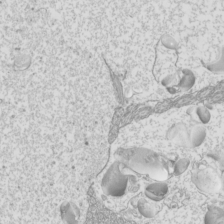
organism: Mouse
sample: Cilia; mouse epididymis